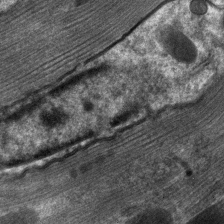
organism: C. elegans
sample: Pharynx